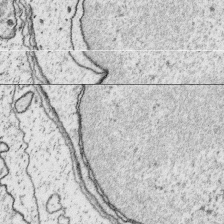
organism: Platynereis dumerilii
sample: Parapodia